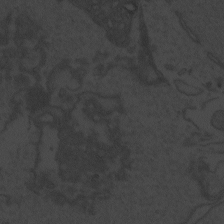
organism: Zebrafish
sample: Macrophage infected with Toxoplasma gondii